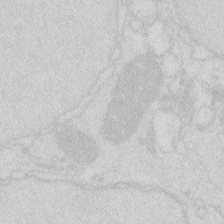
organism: Zebrafish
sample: Macrophage